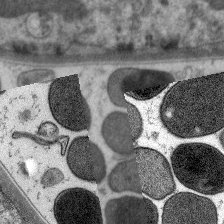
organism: C. elegans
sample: Pharynx